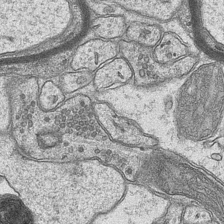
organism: Mouse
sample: CA1 Hippocampus